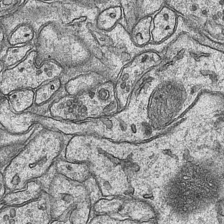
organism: Mouse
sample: CA1 Hippocampus